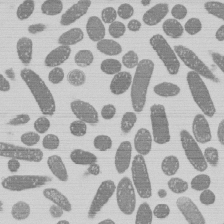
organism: E. coli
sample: Bacterial nucleoid